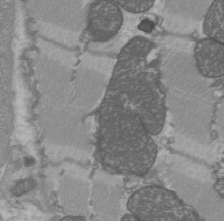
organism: C57BL Mouse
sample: Heart